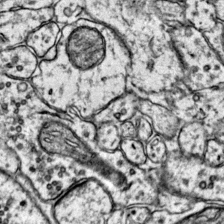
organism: Mouse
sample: Primary visual cortex